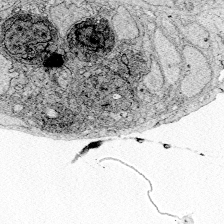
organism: Zebrafish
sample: Whole-Brain